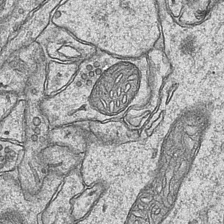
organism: Mouse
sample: CA1 Hippocampus